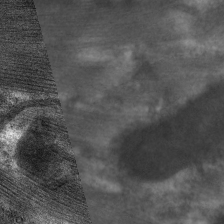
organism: C. elegans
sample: Pharynx